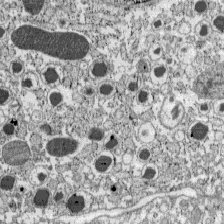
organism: C57BL Mouse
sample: Pancreatic islet